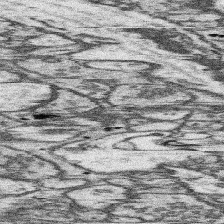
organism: Mouse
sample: Somatosensory cortex neuropil